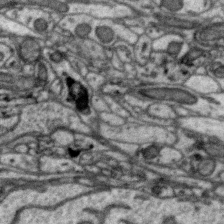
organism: Zebra finch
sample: Brain